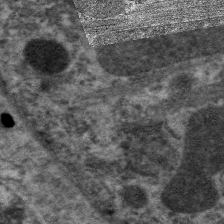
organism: C. elegans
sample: Pharynx